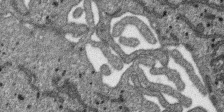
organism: Human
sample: Lung epithelial cells infected with SARS-CoV-2